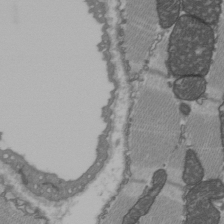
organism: C57BL Mouse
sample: Heart